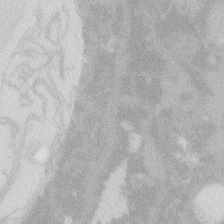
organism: Zebrafish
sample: Macrophage